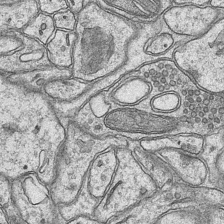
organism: Mouse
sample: CA1 Hippocampus